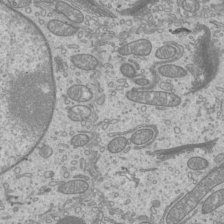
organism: Mouse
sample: Cilia; mouse epididymis